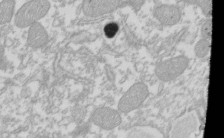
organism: Xenopus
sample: Cilia; centrioles in frog embryo cells